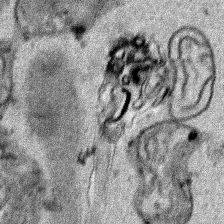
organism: Human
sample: Mitochondria in HCT116 cells